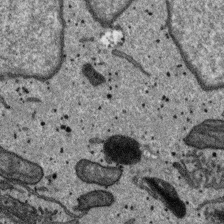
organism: Human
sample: Lung epithelial cells, uninfected (mock) control